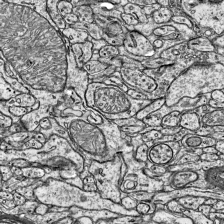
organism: Mouse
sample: Visual Cortex